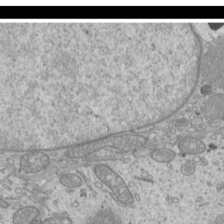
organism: Mouse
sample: Cilia; mouse epididymis